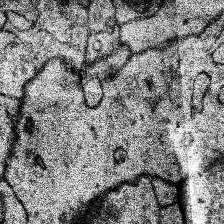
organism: Human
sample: Temporal Lobe